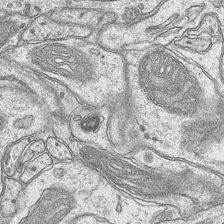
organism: Mouse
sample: CA1 Hippocampus